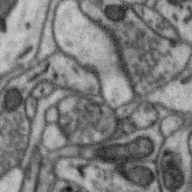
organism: Zebra finch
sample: Brain